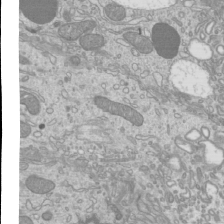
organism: Mouse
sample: Cilia; mouse epididymis